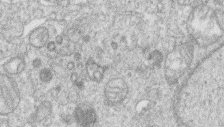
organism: Human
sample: HeLa cell HIV synapse